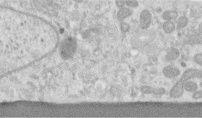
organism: Human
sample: Centriole in RPE cells